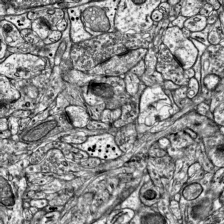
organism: Mouse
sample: Visual Cortex